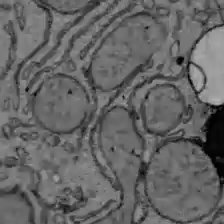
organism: C57BL Mouse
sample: Liver